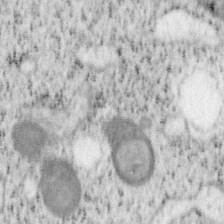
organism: Mouse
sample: OT-I killer T cells with ID8 ovarian cancer cells